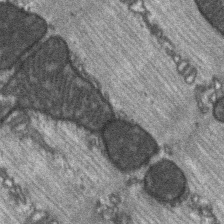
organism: C57BL Mouse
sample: Soleus